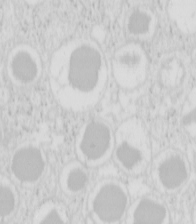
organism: Mouse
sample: Pancreas